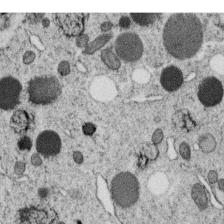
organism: C. elegans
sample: C. elegans oocyte; sperm cells